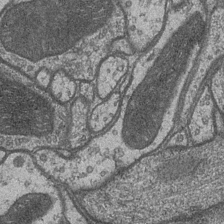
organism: Drosophila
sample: Optic medulla